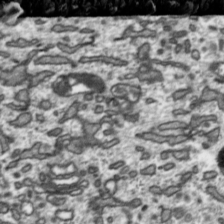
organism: Toxoplasma gondii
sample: Parasites in a vacuole inside a host cell